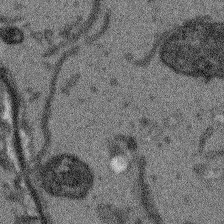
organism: Arabidopsis thaliana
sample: Root tip